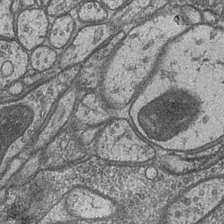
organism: Drosophila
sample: Optic medulla